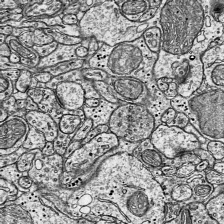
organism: Mouse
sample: Visual Cortex